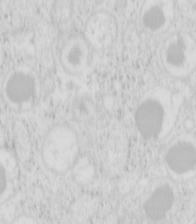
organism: Mouse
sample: Pancreas